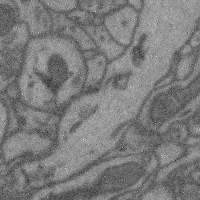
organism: Mouse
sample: Cerebral cortex